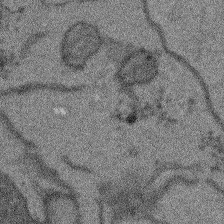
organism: Arabidopsis thaliana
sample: Root tip